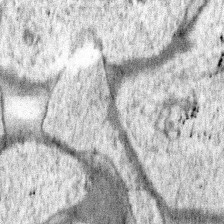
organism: Human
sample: HeLa cells